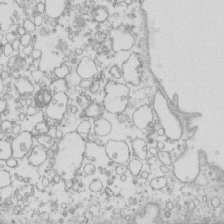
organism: Mouse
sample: Macrophages